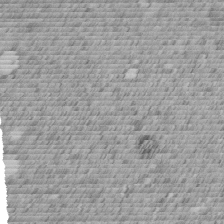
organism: C. elegans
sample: C. elegans embryo early stage